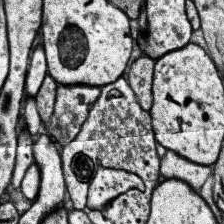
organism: Human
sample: Temporal Lobe